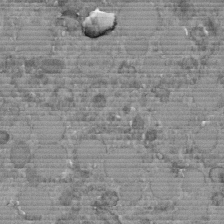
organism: C. elegans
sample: C. elegans embryo early stage